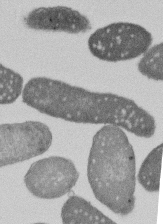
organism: E. coli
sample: Bacterial nucleoid